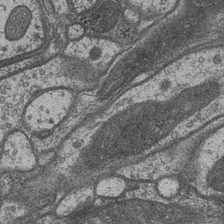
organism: Drosophila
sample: Optic medulla